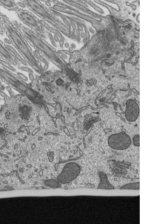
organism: Mouse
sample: Mouse epididymis efferent ductule cilia